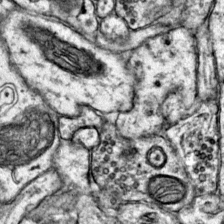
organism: Mouse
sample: Primary visual cortex